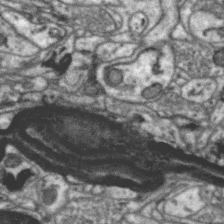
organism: Zebra finch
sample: Brain